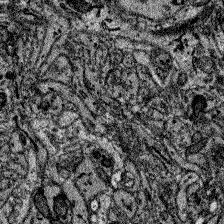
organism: Zebrafish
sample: Larval olfactory bulb